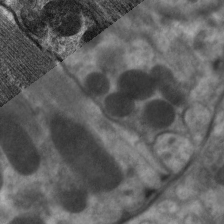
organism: C. elegans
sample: Pharynx